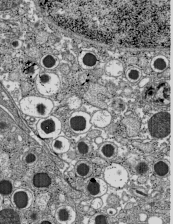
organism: C57BL Mouse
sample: Pancreatic islet